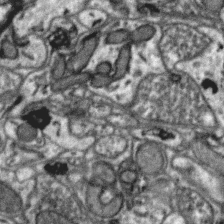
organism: Zebra finch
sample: Brain